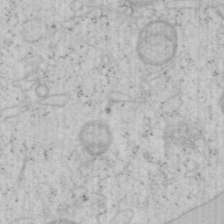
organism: Human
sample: HeLa cells